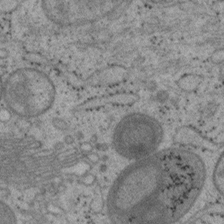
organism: Human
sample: HeLa cells